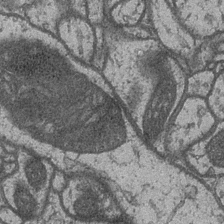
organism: Drosophila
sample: Optic medulla